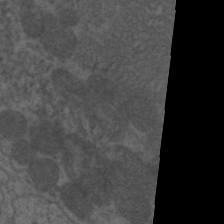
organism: C. elegans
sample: Pharynx